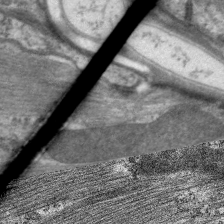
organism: C. elegans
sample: Pharynx